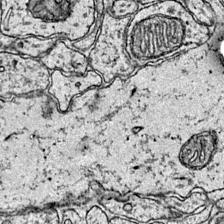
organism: Mouse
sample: Primary visual cortex